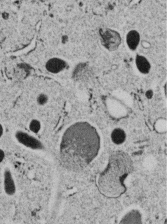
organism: C. elegans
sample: C. elegans embryo early stage